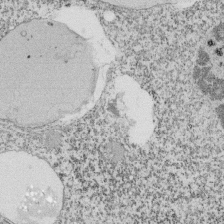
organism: Tetrahymena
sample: Cilia in tetrahymena